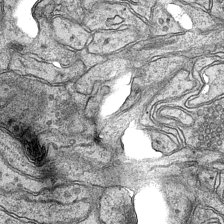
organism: Mouse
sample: CA1 Hippocampus